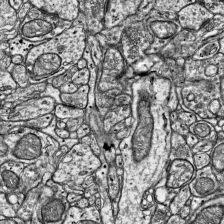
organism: Mouse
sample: Visual Cortex